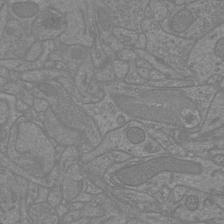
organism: Mouse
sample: Cortical neurons